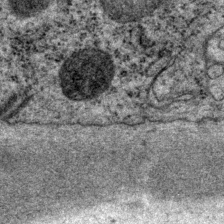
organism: P. pacificus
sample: Pharynx